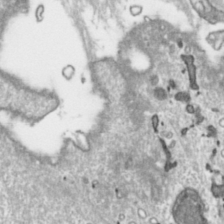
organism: Toxoplasma gondii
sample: Parasites in a vacuole inside a host cell